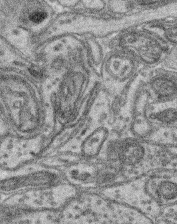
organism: Mouse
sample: Retina